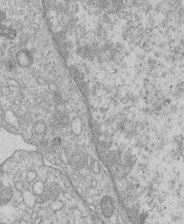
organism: Human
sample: Macrophage cells